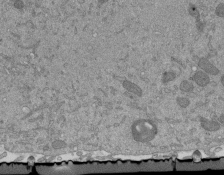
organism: Mouse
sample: ED-1 cell nuclei; centrioles